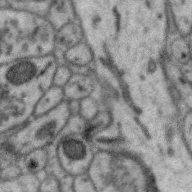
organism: Zebra finch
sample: Brain